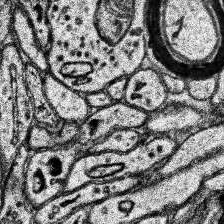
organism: Human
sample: Temporal Lobe